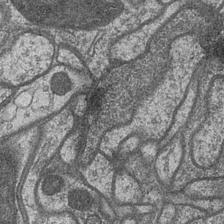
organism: Drosophila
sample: Optic medulla